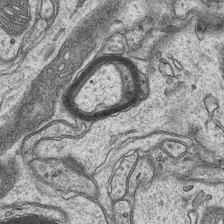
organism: Mouse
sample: CA1 Hippocampus